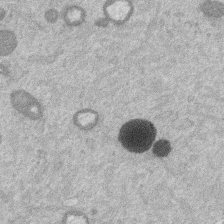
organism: Mouse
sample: Dividing mouse embryo 1 cell stage